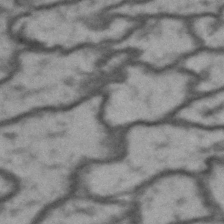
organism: Drosophila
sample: Brain